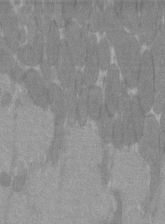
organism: C57BL Mouse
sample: Tibialis anterior muscle cell